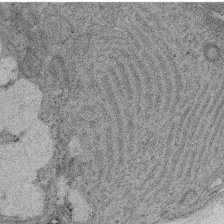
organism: Rat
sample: Salivary granule